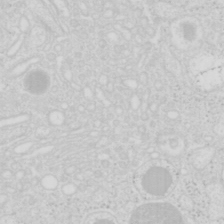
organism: Mouse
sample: Pancreas